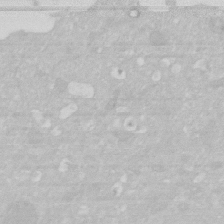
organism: Human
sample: HIV infected U937 cells